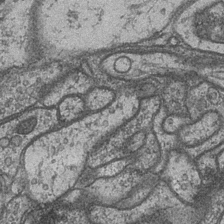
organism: Drosophila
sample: Optic medulla